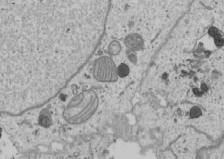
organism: Human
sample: Mitochondria in U2OS cells